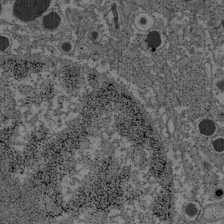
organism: C57BL Mouse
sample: Pancreatic islet